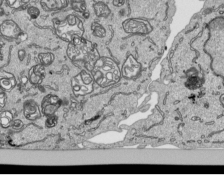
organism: Human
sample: Mitochondria in HCT116 cells